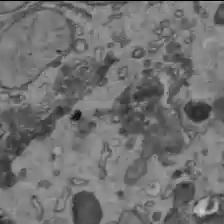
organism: C57BL Mouse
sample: Liver